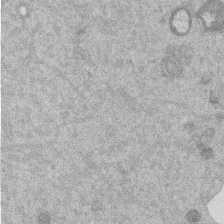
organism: Mouse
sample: Dividing mouse embryo 1 cell stage